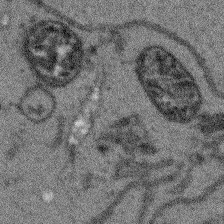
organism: Arabidopsis thaliana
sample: Root tip